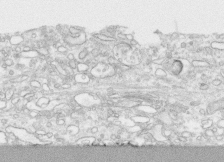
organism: Human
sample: CRL-1474